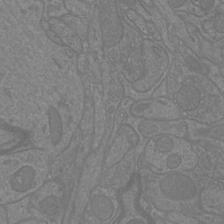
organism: Mouse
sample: Cortical neurons